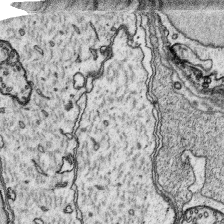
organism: Platynereis dumerilii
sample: Parapodia